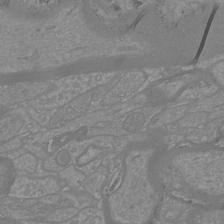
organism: Mouse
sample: Cortical neurons